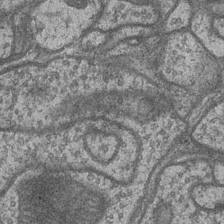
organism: Drosophila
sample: Optic medulla